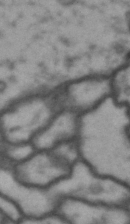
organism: Drosophila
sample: Brain